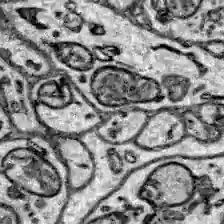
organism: Zebrafish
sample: Brain